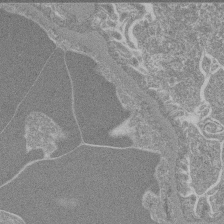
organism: Mouse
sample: Glomerulus